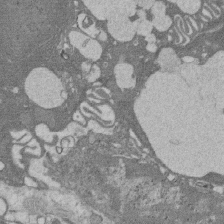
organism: Rat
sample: Salivary granule